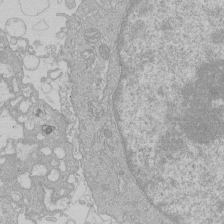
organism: Human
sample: Macrophage cells